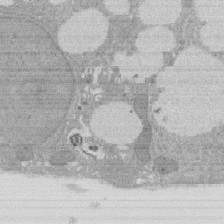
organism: Rat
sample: Salivary granule